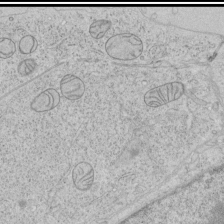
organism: Human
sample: Mitochondria in HCT116 cells